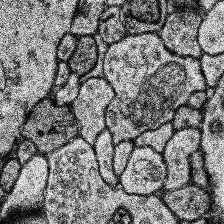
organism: Human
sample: Temporal Lobe